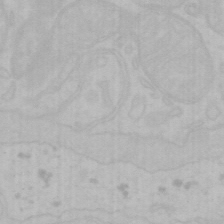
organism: Mouse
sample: Choroid plexus